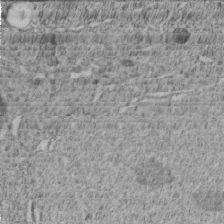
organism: C. elegans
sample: C. elegans embryo early stage